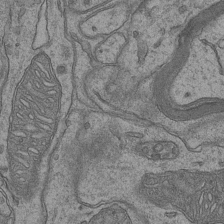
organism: Mouse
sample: CA1 Hippocampus